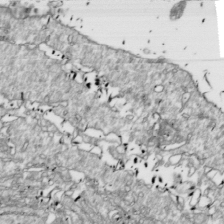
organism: Drosophila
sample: Cell division; meiosis; drosophila spermatocytes